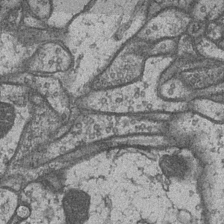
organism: Drosophila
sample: Optic medulla